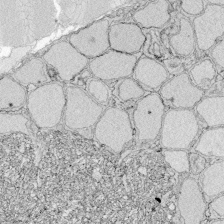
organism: Zebrafish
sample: Whole-Brain